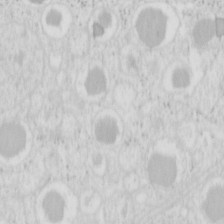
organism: Mouse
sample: Pancreas